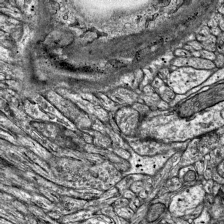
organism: Mouse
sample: Visual Cortex